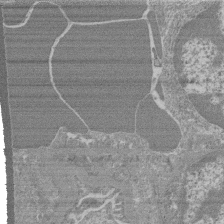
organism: Mouse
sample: Glomerulus